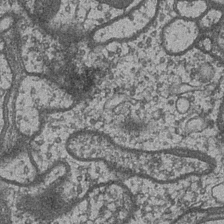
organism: Drosophila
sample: Optic medulla